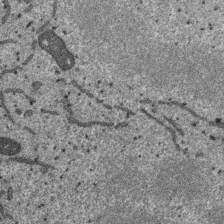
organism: Human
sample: Lung epithelial cells infected with SARS-CoV-2